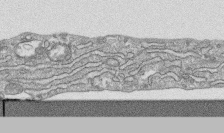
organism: Human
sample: CRL-1474